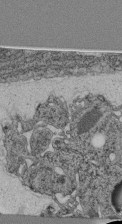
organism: C. elegans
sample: C. elegans pharynx